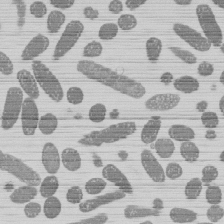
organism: E. coli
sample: Bacterial nucleoid